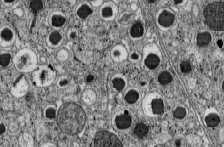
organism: C57BL Mouse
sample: Pancreatic islet